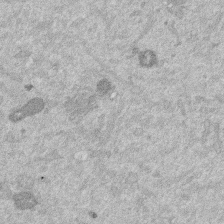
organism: Mouse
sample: Dividing mouse embryo 1 cell stage